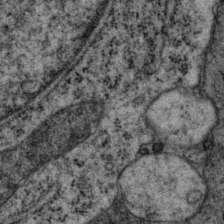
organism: P. pacificus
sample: Pharynx